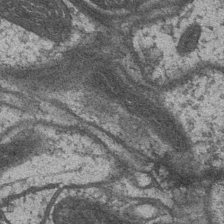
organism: Drosophila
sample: Optic medulla